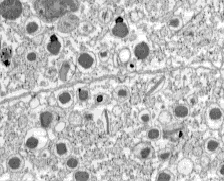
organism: C57BL Mouse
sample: Pancreatic islet